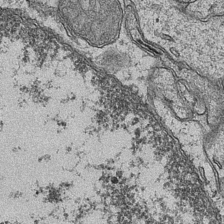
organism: Mouse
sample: CA1 Hippocampus